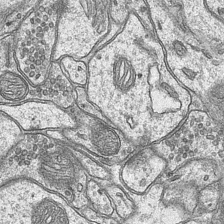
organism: Mouse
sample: CA1 Hippocampus